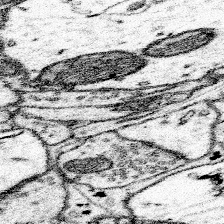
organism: Mouse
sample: Somatosensory cortex neuropil